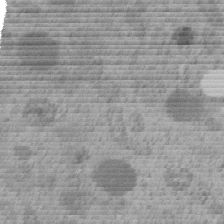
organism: C. elegans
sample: C. elegans embryo early stage